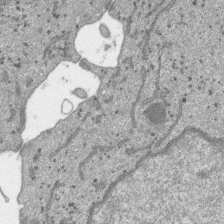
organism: Human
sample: Lung epithelial cells infected with SARS-CoV-2